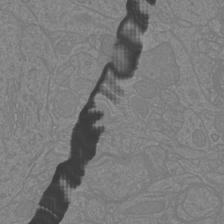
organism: Mouse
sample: Cortical neurons